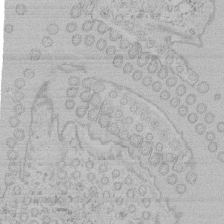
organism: Tetrahymena